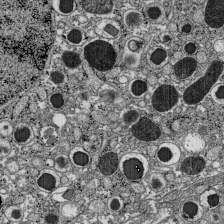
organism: C57BL Mouse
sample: Pancreatic islet